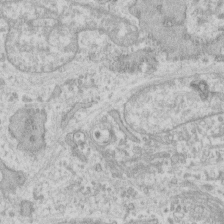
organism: Human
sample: Fibroblast cells